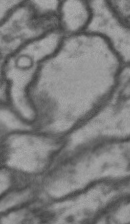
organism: Drosophila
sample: Brain